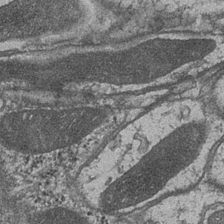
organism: Drosophila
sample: Optic medulla